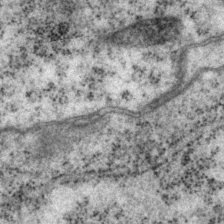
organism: P. pacificus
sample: Pharynx